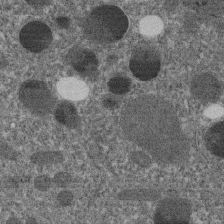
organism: C. elegans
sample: C. elegans embryo early stage